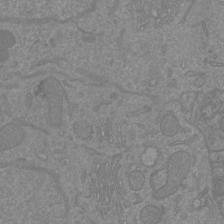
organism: Mouse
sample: Cortical neurons